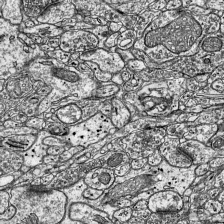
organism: Mouse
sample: Visual Cortex